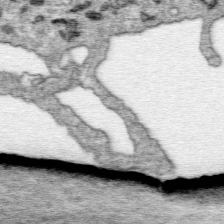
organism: Human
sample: HeLa cells